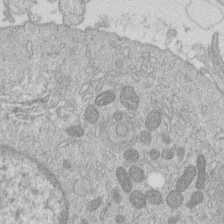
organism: Human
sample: Macrophage cells